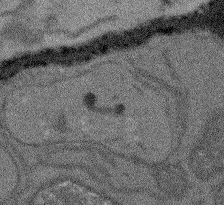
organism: Arabidopsis thaliana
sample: Root tip